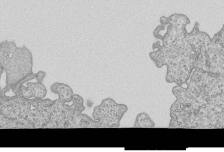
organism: Human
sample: MDA-MB-231 cells